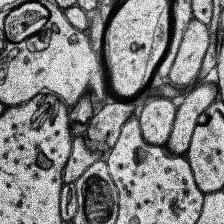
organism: Human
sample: Temporal Lobe